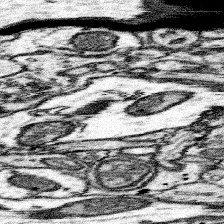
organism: Mouse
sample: Somatosensory cortex neuropil